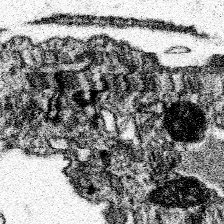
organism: Spongilla lacustris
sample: Neuroid cell